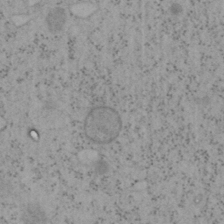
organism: Mouse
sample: OT-I killer T cells with ID8 ovarian cancer cells